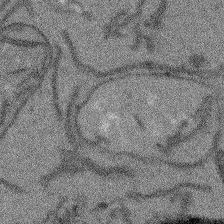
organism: Arabidopsis thaliana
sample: Root tip